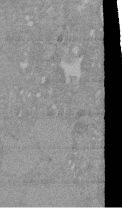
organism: Mouse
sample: ED-1 cell nuclei; centrioles